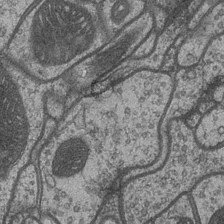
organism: Drosophila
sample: Optic medulla